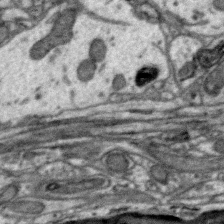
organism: Zebra finch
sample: Brain